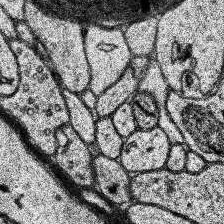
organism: Human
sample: Temporal Lobe